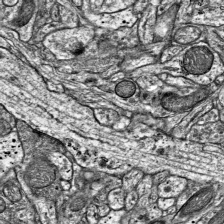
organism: Mouse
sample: Visual Cortex